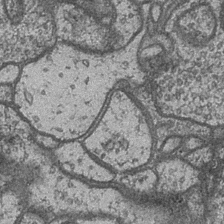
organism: Drosophila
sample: Optic medulla